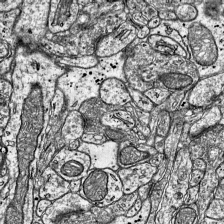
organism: Mouse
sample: Visual Cortex